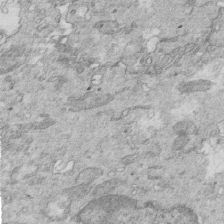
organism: Mouse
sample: Multiciliated cells